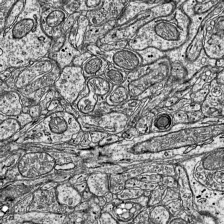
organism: Mouse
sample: Visual Cortex